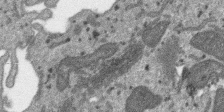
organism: Human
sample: Lung epithelial cells infected with SARS-CoV-2